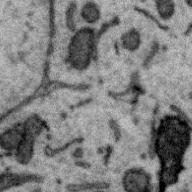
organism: Zebra finch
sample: Brain